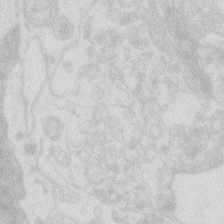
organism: Zebrafish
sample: Macrophage